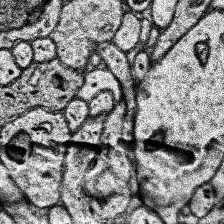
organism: Human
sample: Temporal Lobe